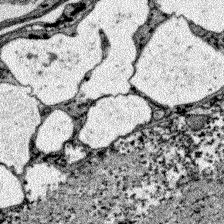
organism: Zebrafish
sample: Larval olfactory bulb